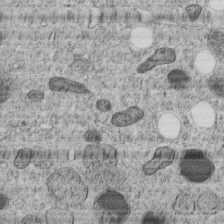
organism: C. elegans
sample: C. elegans embryo early stage